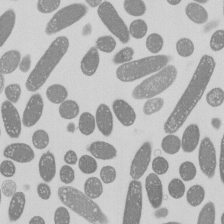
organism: E. coli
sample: Bacterial nucleoid